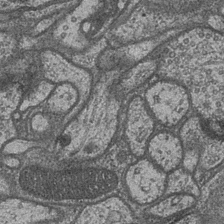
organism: Drosophila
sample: Optic medulla